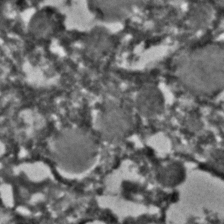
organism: C. elegans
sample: C. elegans embryo